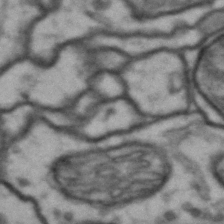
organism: Drosophila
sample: Brain